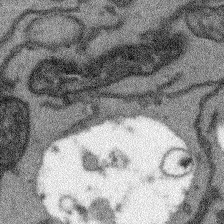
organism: Arabidopsis thaliana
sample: Root tip